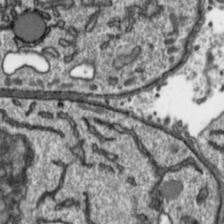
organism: Toxoplasma gondii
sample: Parasites in a vacuole inside a host cell